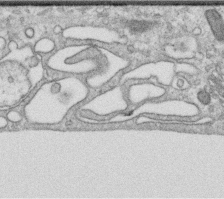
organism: Human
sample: Centriole in RPE cells